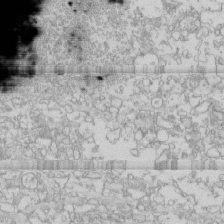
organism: Human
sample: CRL-1474